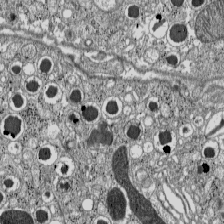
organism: C57BL Mouse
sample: Pancreatic islet